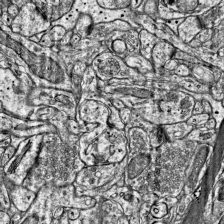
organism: Mouse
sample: Visual Cortex